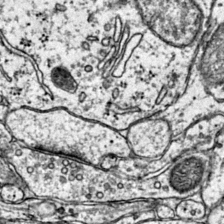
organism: Mouse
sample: Primary visual cortex